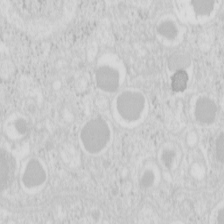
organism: Mouse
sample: Pancreas